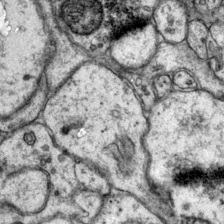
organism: Mouse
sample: Primary visual cortex